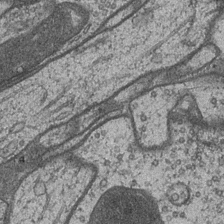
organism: Drosophila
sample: Optic medulla